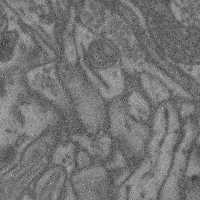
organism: Mouse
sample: Cerebral cortex